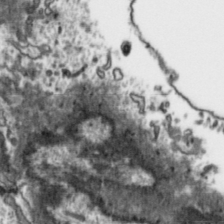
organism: Toxoplasma gondii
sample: Parasites in a vacuole inside a host cell